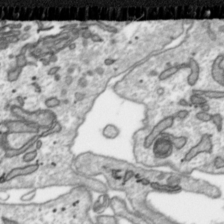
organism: Toxoplasma gondii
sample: Parasites in a vacuole inside a host cell